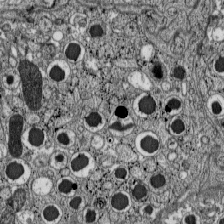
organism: C57BL Mouse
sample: Pancreatic islet